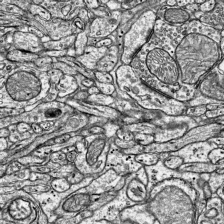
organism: Mouse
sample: Visual Cortex